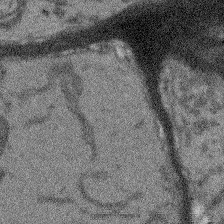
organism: Arabidopsis thaliana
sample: Root tip